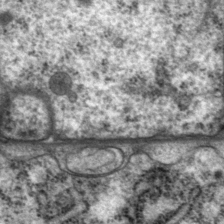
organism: P. pacificus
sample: Pharynx